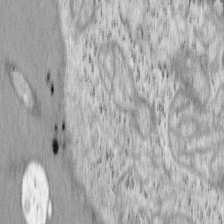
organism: Human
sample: HeLa cells